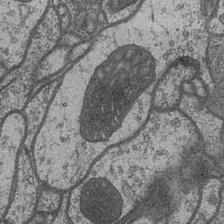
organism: Drosophila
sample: Optic medulla